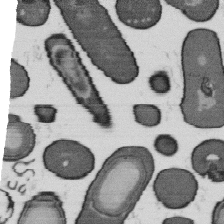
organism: B. subtilis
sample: Bacterial spore